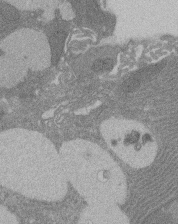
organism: Rat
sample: Salivary granule